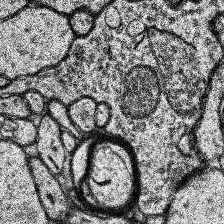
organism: Human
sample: Temporal Lobe